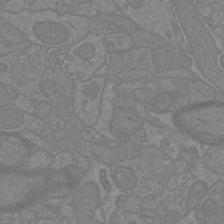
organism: Mouse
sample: Cortical neurons